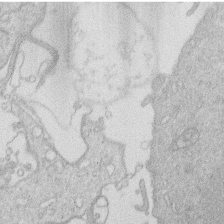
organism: Human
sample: Macrophage cells